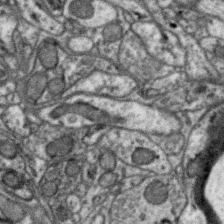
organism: Zebra finch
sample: Brain